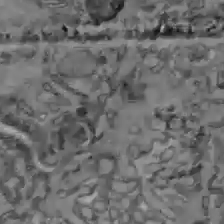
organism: C57BL Mouse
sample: Liver